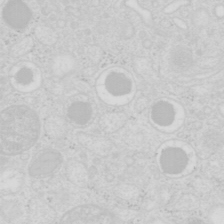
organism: Mouse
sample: Pancreas